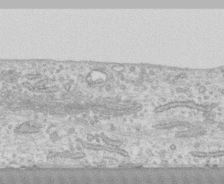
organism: Human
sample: CRL-1474